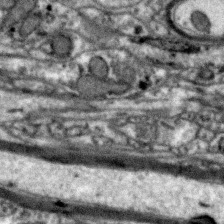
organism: Zebra finch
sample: Brain